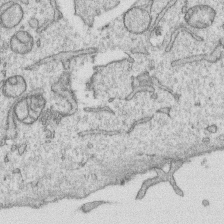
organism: Human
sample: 1205lu cells